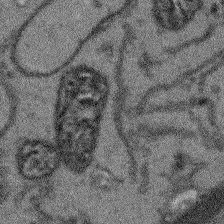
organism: Arabidopsis thaliana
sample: Root tip